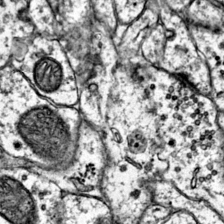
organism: Mouse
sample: Primary visual cortex